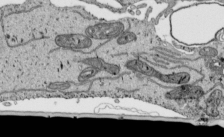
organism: Human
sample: Mitochondria in HCT116 cells